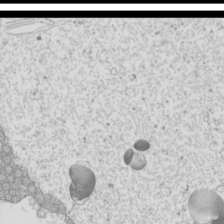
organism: Mouse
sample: Cilia; mouse epididymis